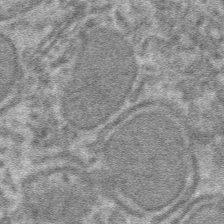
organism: Mouse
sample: Mouse hepatocytes